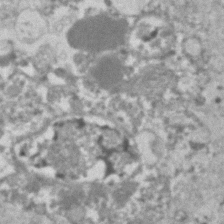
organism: Human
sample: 1205lu cells